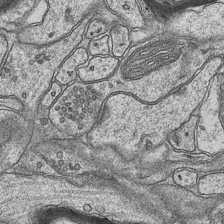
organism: Mouse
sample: CA1 Hippocampus